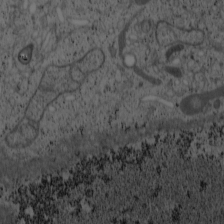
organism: African green monkey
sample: COS-7 cells